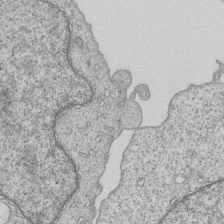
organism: Human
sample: MDA-MB-231 cells